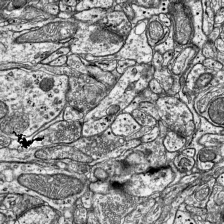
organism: Mouse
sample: Visual Cortex